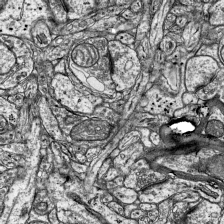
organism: Mouse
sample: Visual Cortex